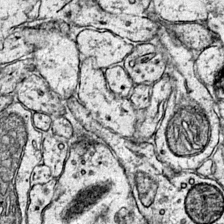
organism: Mouse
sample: Primary visual cortex